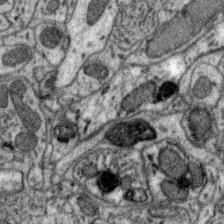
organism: Zebra finch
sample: Brain